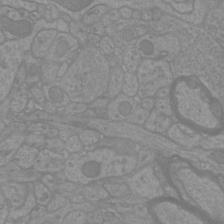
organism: Mouse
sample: Cortical neurons